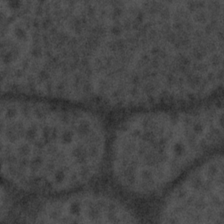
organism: Tuwongella immobilis